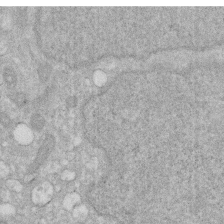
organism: Human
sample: HIV infected U937 cells